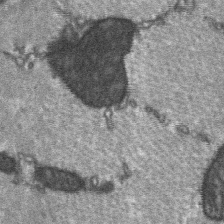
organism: C57BL Mouse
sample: Soleus